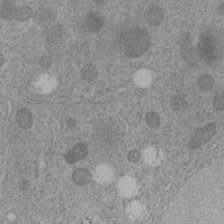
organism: C. elegans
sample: C. elegans embryo early stage